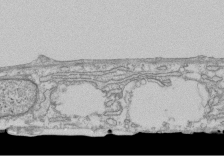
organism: Human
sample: Fibroblast cells